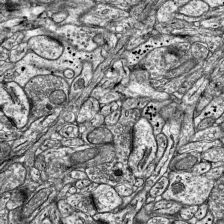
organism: Mouse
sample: Visual Cortex